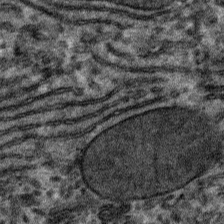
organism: Mouse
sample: Mouse hepatocytes